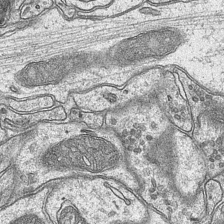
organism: Mouse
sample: CA1 Hippocampus